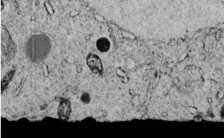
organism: C. elegans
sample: C. elegans embryo early stage